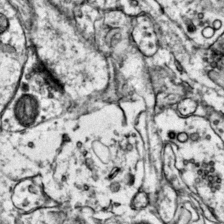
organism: Mouse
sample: Primary visual cortex